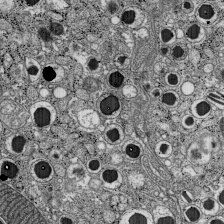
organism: C57BL Mouse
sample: Pancreatic islet